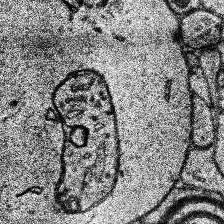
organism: Human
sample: Temporal Lobe